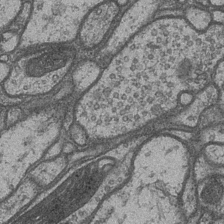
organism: Drosophila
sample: Optic medulla